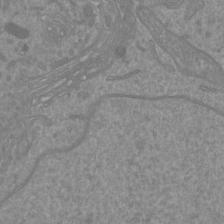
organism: Mouse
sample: Cortical neurons